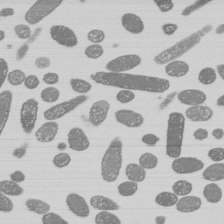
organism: E. coli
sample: Bacterial nucleoid